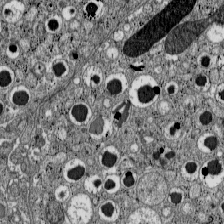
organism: C57BL Mouse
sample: Pancreatic islet